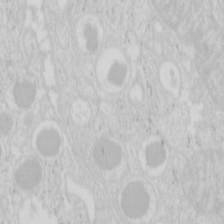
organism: Mouse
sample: Pancreas